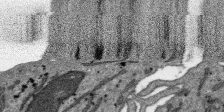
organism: Human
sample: Lung epithelial cells, uninfected (mock) control